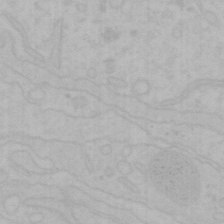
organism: Mouse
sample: Choroid plexus